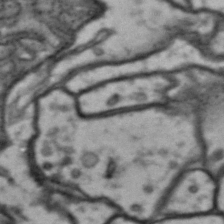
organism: Drosophila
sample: Brain